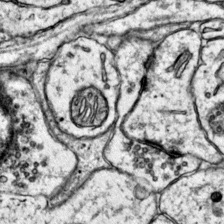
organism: Mouse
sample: Primary visual cortex